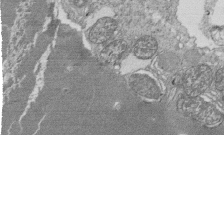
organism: Tetrahymena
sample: Cilia in tetrahymena